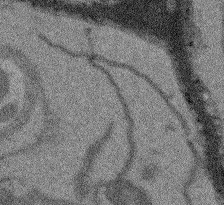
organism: Arabidopsis thaliana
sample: Root tip